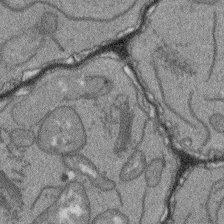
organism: Arabidopsis thaliana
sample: Root tip